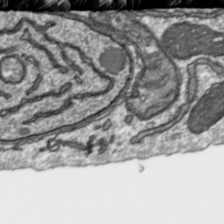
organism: Toxoplasma gondii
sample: Parasites in a vacuole inside a host cell